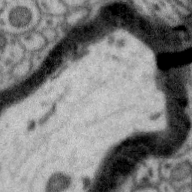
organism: Zebra finch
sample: Brain